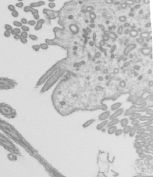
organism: Mouse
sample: Mouse epididymis efferent ductule cilia